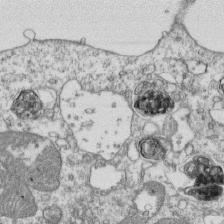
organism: Mouse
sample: Activated OT-1 CD8+ T cells